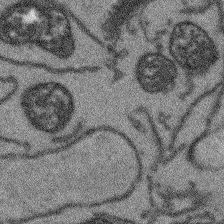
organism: Arabidopsis thaliana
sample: Root tip